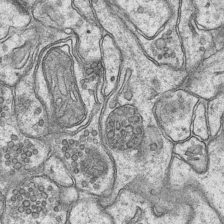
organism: Mouse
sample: CA1 Hippocampus